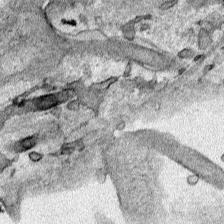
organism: Human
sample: Mitochondria in HCT116 cells